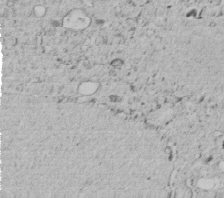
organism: C. elegans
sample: C. elegans embryo early stage